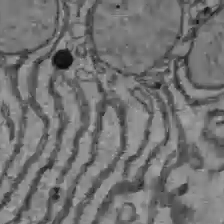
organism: C57BL Mouse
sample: Liver